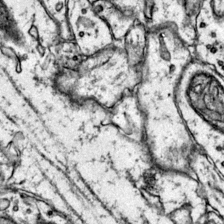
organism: Mouse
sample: Primary visual cortex